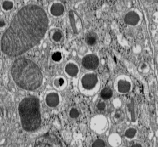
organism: C57BL Mouse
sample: Pancreatic islet